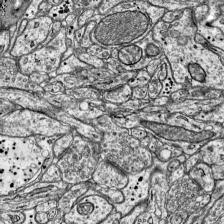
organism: Mouse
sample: Visual Cortex